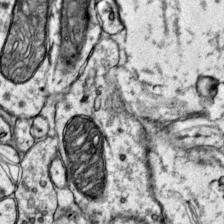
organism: Mouse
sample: Primary visual cortex